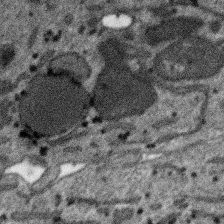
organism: Human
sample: Lung epithelial cells infected with SARS-CoV-2